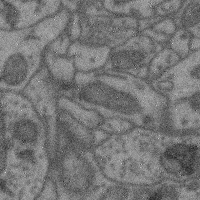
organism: Mouse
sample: Cerebral cortex